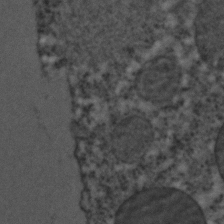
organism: C. elegans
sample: C. elegans embryo